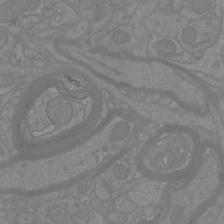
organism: Mouse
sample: Cortical neurons